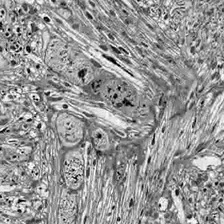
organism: Drosophila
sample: Optic lobe